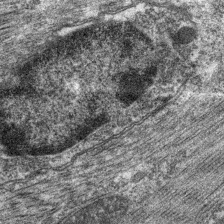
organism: C. elegans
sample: Pharynx